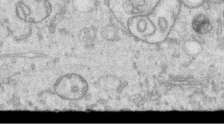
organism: Human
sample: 1205lu cells